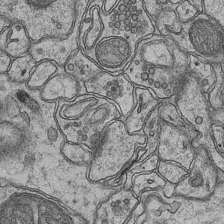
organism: Mouse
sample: CA1 Hippocampus